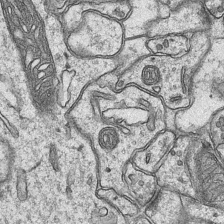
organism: Mouse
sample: CA1 Hippocampus